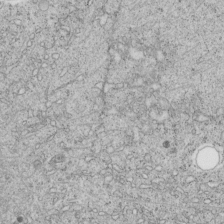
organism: C. elegans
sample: C. elegans embryo early stage